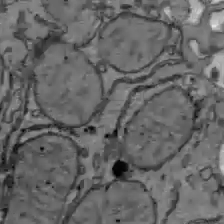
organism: C57BL Mouse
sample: Liver